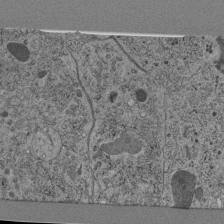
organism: C. elegans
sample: C. elegans pharynx